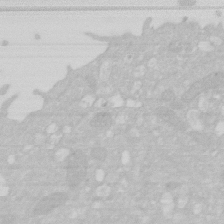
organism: Human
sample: HIV infected U937 cells